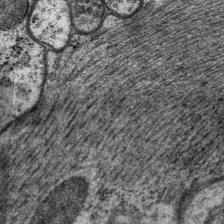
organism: P. pacificus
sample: Pharynx